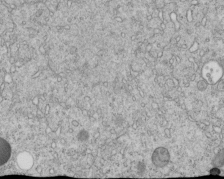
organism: C. elegans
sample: C. elegans embryo early stage